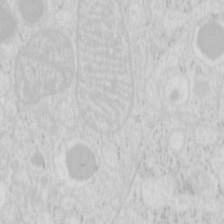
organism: Mouse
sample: Pancreas